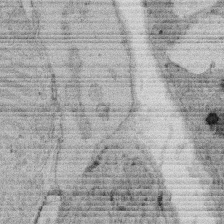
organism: Rat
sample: Salivary granule